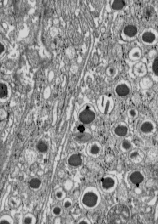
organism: C57BL Mouse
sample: Pancreatic islet